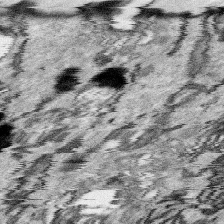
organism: Human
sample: HeLa cells